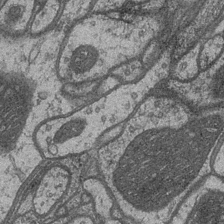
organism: Drosophila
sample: Optic medulla